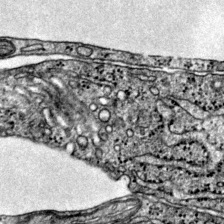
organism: Mouse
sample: Primary visual cortex